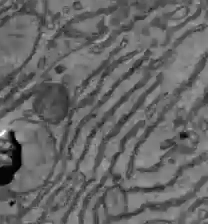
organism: C57BL Mouse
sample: Liver